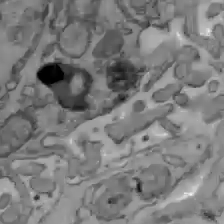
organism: C57BL Mouse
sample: Liver